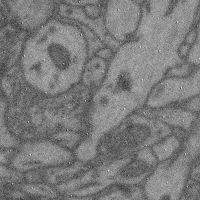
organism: Mouse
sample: Cerebral cortex